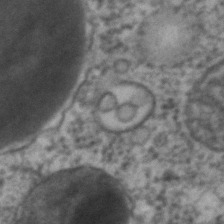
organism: C. elegans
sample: C. elegans embryo